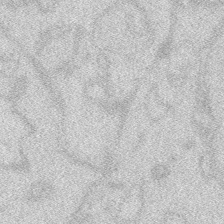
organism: Zebrafish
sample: Macrophage